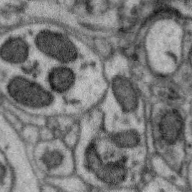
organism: Zebra finch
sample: Brain